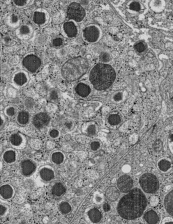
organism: C57BL Mouse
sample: Pancreatic islet